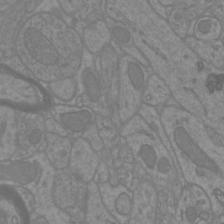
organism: Mouse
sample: Cortical neurons